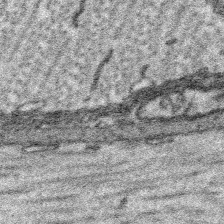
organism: Platynereis dumerilii